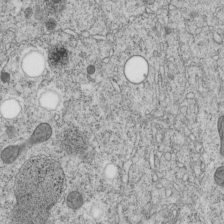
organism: C. elegans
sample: C. elegans embryo early stage